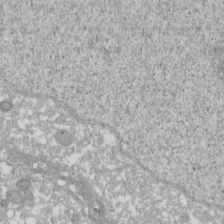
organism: Xenopus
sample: Cilia; centrioles in frog embryo cells